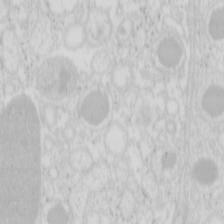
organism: Mouse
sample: Pancreas